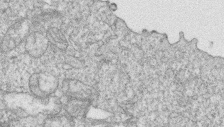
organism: Human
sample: HeLa cell HIV synapse